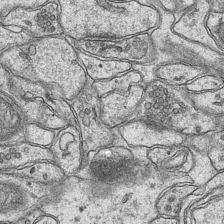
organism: Mouse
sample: CA1 Hippocampus